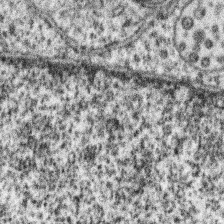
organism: Human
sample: HeLa cells